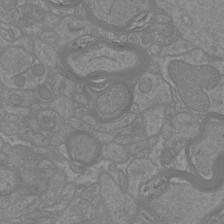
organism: Mouse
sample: Cortical neurons